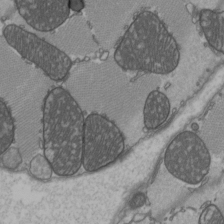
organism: C57BL Mouse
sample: Heart